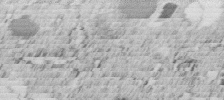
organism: C. elegans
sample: C. elegans embryo early stage